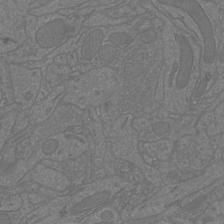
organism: Mouse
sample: Cortical neurons